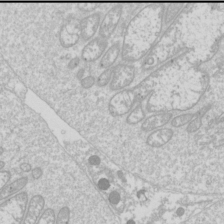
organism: Drosophila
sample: Cell division; meiosis; drosophila spermatocytes